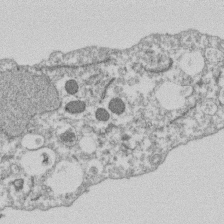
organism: Dictyostelium discoideum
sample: Dictyostelium multivesicular bodies